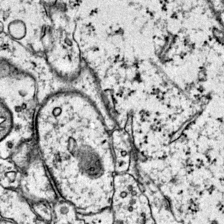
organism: Mouse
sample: Primary visual cortex